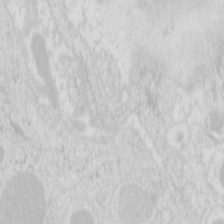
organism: Mouse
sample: Pancreas